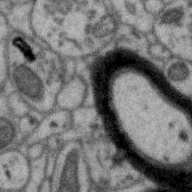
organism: Zebra finch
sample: Brain